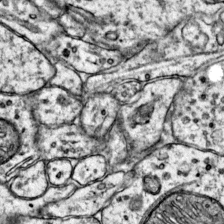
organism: Mouse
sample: Primary visual cortex